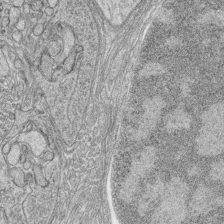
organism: Zebrafish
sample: synaptic ribbons in rod cells and cone cells